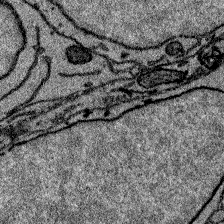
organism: Zebrafish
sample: Larval olfactory bulb